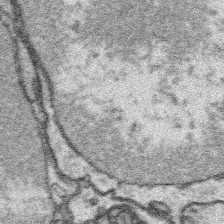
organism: Platynereis dumerilii